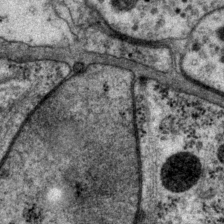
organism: P. pacificus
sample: Pharynx